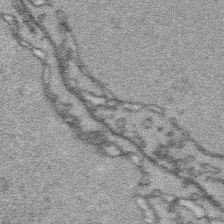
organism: Platynereis dumerilii